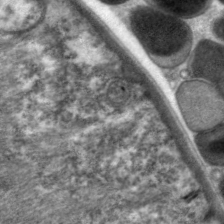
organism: C. elegans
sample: Pharynx